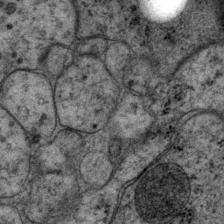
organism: P. pacificus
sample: Pharynx